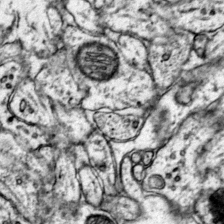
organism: Mouse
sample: Primary visual cortex